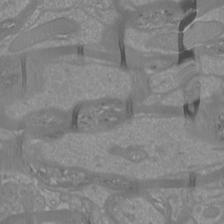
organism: Mouse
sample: Cortical neurons